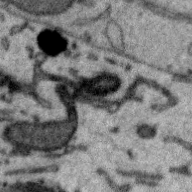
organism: Zebra finch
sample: Brain